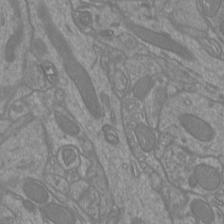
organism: Mouse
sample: Cortical neurons